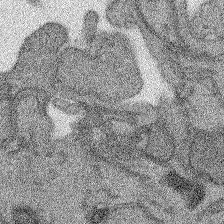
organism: Human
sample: HeLa cells